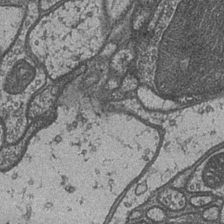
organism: Drosophila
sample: Optic medulla